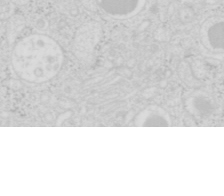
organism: Mouse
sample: Pancreas